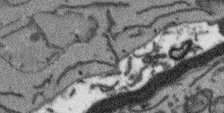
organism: Arabidopsis thaliana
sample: Root tip